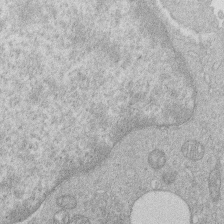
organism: Human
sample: Macrophage cells